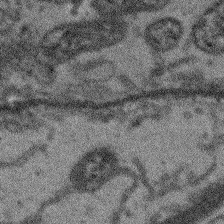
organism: Arabidopsis thaliana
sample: Root tip